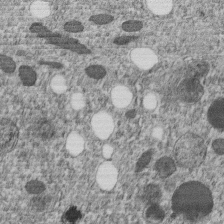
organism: C. elegans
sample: C. elegans embryo early stage